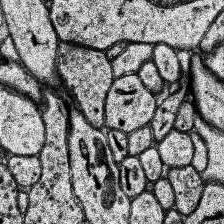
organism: Human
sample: Temporal Lobe